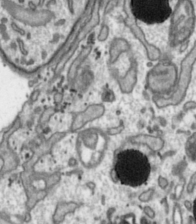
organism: Toxoplasma gondii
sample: Parasites in a vacuole inside a host cell